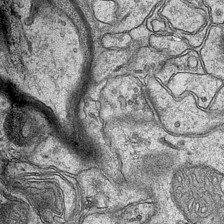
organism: Mouse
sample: CA1 Hippocampus